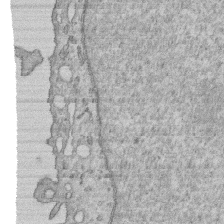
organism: Human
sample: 1205lu cells